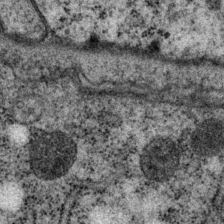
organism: P. pacificus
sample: Pharynx